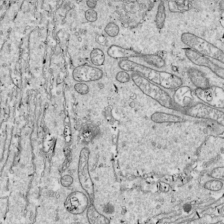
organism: Drosophila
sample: Cell division; meiosis; drosophila spermatocytes